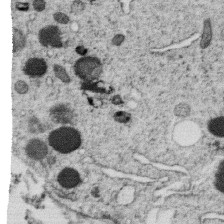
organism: C. elegans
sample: C. elegans oocyte; sperm cells